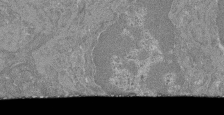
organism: Mouse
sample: Glomerulus